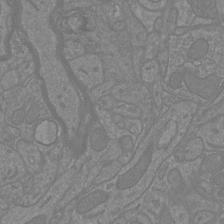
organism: Mouse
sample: Cortical neurons